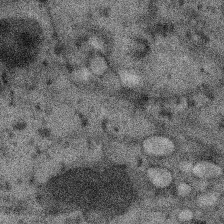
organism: Human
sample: Lung epithelial cells infected with SARS-CoV-2